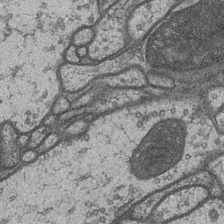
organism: Drosophila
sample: Optic medulla